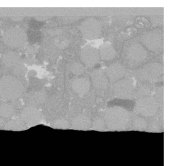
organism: C. elegans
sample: C. elegans oocyte; sperm cells